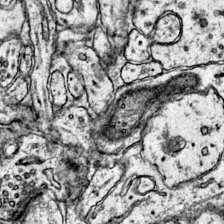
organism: Mouse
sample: Primary visual cortex